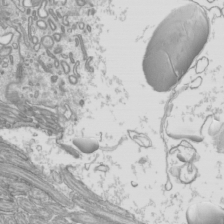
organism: Mouse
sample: Cilia; mouse epididymis